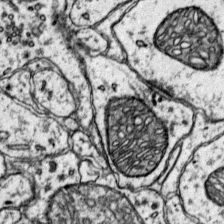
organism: Mouse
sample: Primary visual cortex